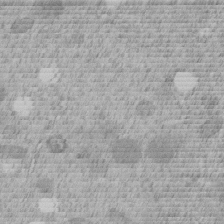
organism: C. elegans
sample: C. elegans embryo early stage